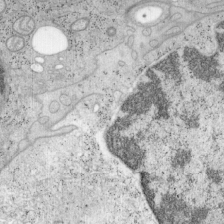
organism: Mouse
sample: OT-I killer T cells with ID8 ovarian cancer cells